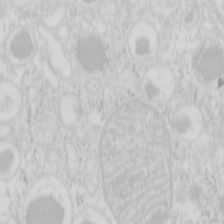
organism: Mouse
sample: Pancreas